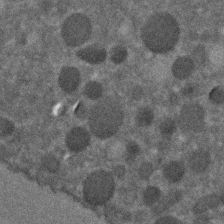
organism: C. elegans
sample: C. elegans embryo